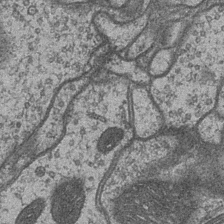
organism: Drosophila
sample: Optic medulla